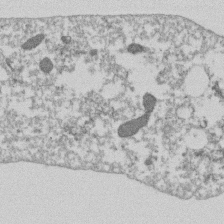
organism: Dictyostelium discoideum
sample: Dictyostelium multivesicular bodies